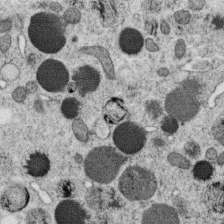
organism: C. elegans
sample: C. elegans oocyte; sperm cells